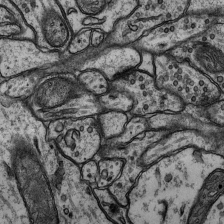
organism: Rat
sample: Hippocampus